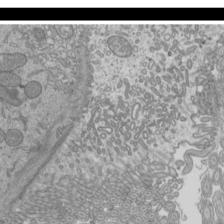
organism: Mouse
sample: Cilia; mouse epididymis